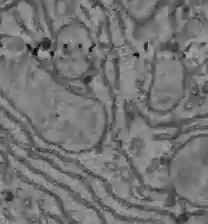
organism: C57BL Mouse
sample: Liver